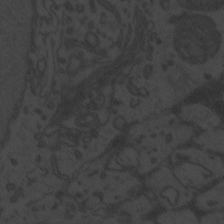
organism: Zebrafish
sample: Macrophage infected with Toxoplasma gondii